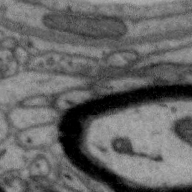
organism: Zebra finch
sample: Brain